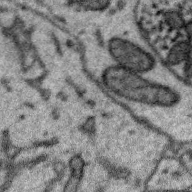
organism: Zebra finch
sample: Brain